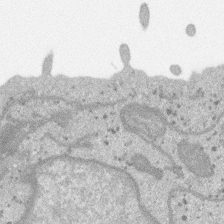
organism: Human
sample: Lung epithelial cells infected with SARS-CoV-2